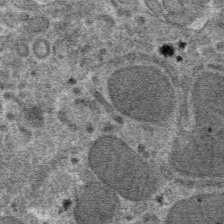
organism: Mouse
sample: Mouse hepatocytes